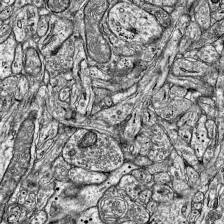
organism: Mouse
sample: Visual Cortex